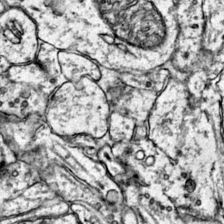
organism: Mouse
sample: Primary visual cortex